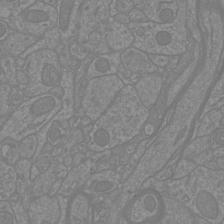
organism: Mouse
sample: Cortical neurons